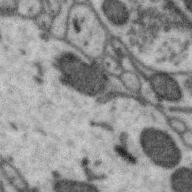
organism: Zebra finch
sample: Brain